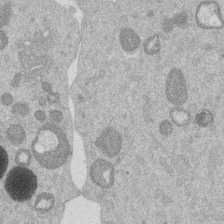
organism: Mouse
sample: Dividing mouse embryo 1 cell stage